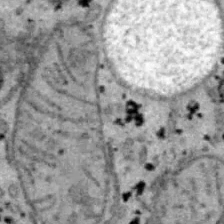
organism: Mouse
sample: Liver from an obese (ob/ob) mouse